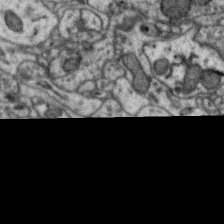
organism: Zebra finch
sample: Brain